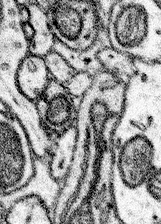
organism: Mouse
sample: Somatosensory cortex neuropil